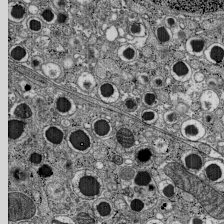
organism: C57BL Mouse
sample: Pancreatic islet